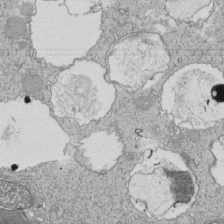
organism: Tetrahymena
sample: Cilia in tetrahymena